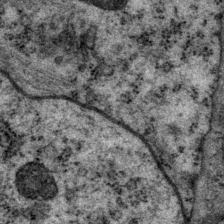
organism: P. pacificus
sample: Pharynx